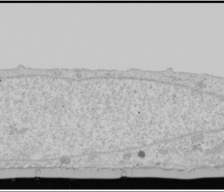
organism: Human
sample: Mitochondria in U2OS cells